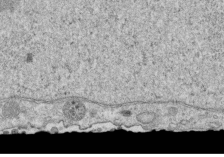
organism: Human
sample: HeLa cell HIV synapse